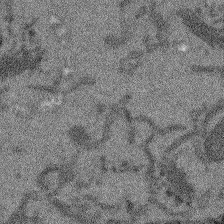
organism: Arabidopsis thaliana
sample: Root tip